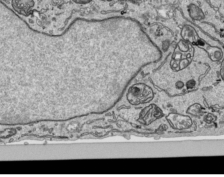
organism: Human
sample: Mitochondria in HCT116 cells